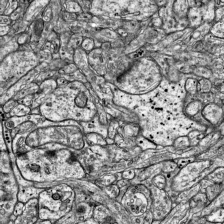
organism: Mouse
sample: Visual Cortex